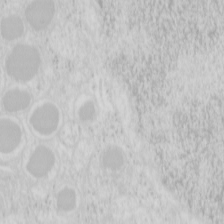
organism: Mouse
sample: Pancreas